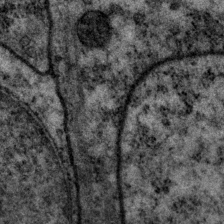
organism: P. pacificus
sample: Pharynx